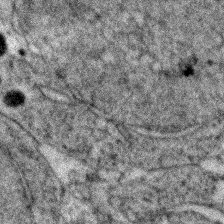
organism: Zebrafish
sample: Zebrafish embryo